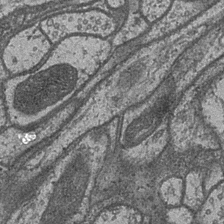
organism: Drosophila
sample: Optic medulla